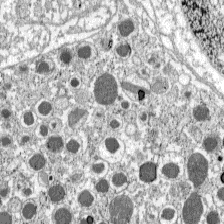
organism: C57BL Mouse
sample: Pancreatic islet